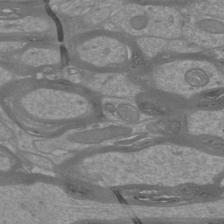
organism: Mouse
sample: Cortical neurons